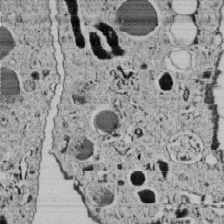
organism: C. elegans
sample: C. elegans embryo early stage